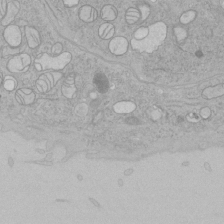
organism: Human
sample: Mitochondria in HCT116 cells